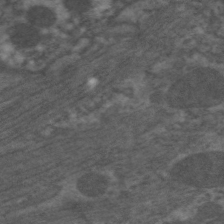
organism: C. elegans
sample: Pharynx